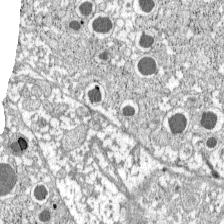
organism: C57BL Mouse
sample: Pancreatic islet